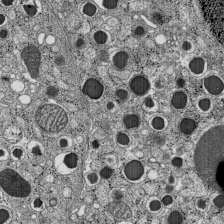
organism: C57BL Mouse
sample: Pancreatic islet